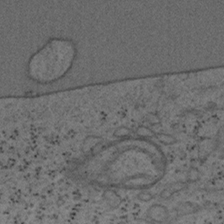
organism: Human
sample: HeLa cells